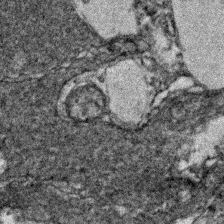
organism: Zebrafish